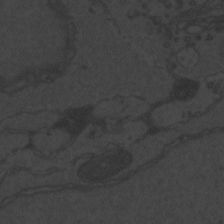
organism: Zebrafish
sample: Macrophage infected with Toxoplasma gondii